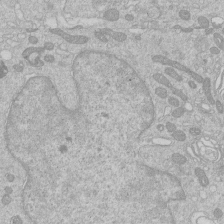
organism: Human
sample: Macrophage cells